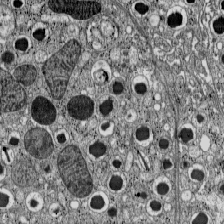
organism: C57BL Mouse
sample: Pancreatic islet